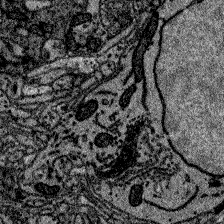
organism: Zebrafish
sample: Larval olfactory bulb